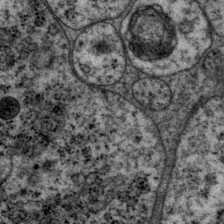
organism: P. pacificus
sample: Pharynx